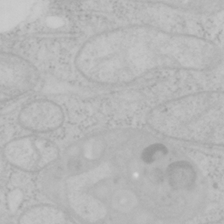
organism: Mouse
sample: OT-I killer T cells with ID8 ovarian cancer cells